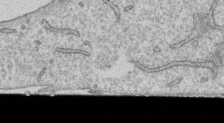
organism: Human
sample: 1205lu cells